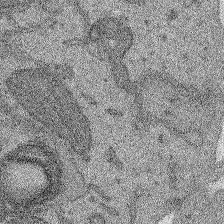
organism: Human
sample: HeLa cells